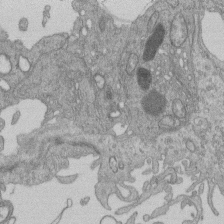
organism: Human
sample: Retinal organoid Rod and Cone cells